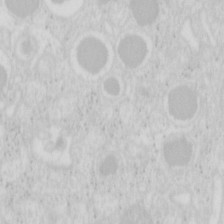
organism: Mouse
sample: Pancreas